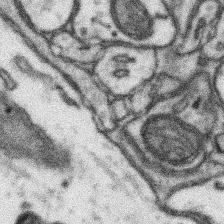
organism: Mouse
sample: Somatosensory cortex neuropil